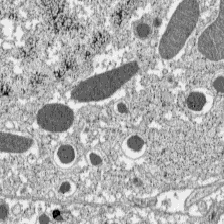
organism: C57BL Mouse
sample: Pancreatic islet